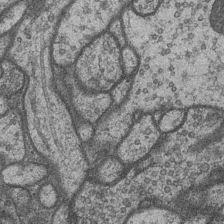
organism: Drosophila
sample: Optic medulla